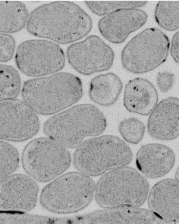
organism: E. coli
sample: Bacterial nucleoid